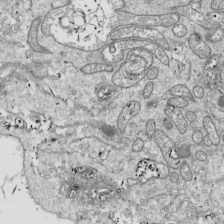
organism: Drosophila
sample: Cell division; meiosis; drosophila spermatocytes